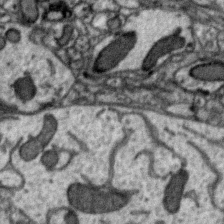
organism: Zebra finch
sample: Brain